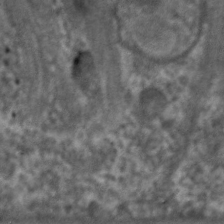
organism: C. elegans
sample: Pharynx